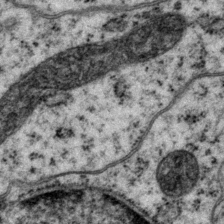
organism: P. pacificus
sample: Pharynx